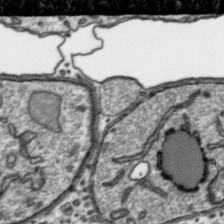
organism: Toxoplasma gondii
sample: Parasites in a vacuole inside a host cell